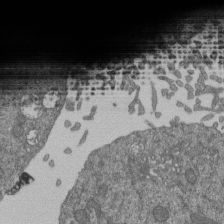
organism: Human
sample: Retinal organoid Rod and Cone cells